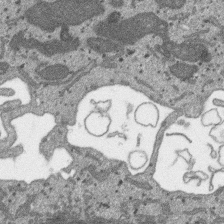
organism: Human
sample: Lung epithelial cells infected with SARS-CoV-2